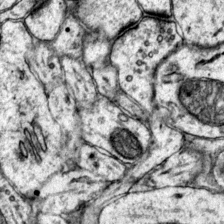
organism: Mouse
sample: Primary visual cortex